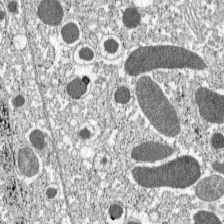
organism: C57BL Mouse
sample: Pancreatic islet